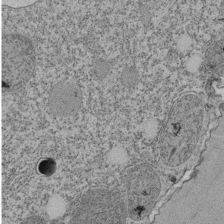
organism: Tetrahymena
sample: Cilia in tetrahymena